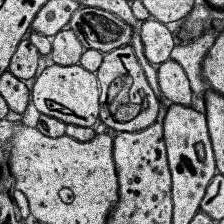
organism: Human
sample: Temporal Lobe